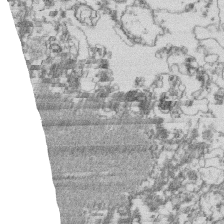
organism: Human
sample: HeLa cell HIV synapse